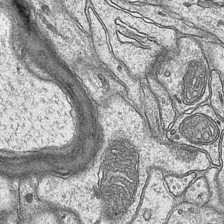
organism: Mouse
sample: CA1 Hippocampus